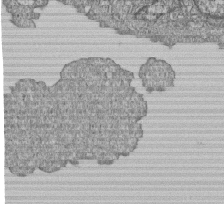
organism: Human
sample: MDA-MB-231 cells